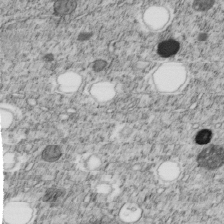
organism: C. elegans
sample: C. elegans embryo early stage